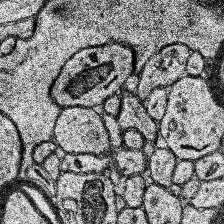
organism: Human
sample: Temporal Lobe